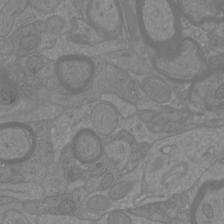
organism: Mouse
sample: Cortical neurons